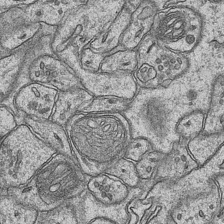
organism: Mouse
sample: CA1 Hippocampus